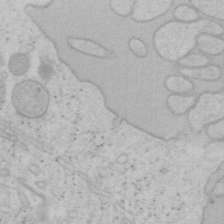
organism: Human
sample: HeLa cells